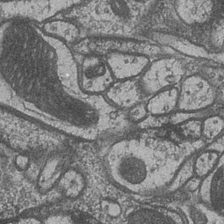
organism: Drosophila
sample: Optic medulla